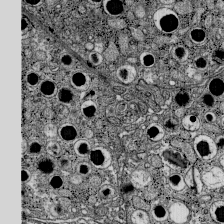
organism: C57BL Mouse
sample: Pancreatic islet